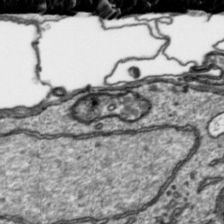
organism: Toxoplasma gondii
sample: Parasites in a vacuole inside a host cell